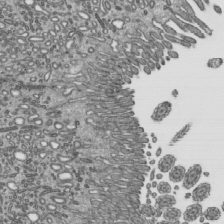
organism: Mouse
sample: Mouse epididymis efferent ductule cilia